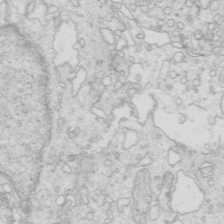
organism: Mouse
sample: Multiciliated cells